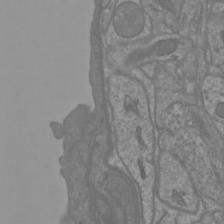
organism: Mouse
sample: Cortical neurons